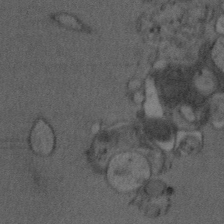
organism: Human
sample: HeLa cells